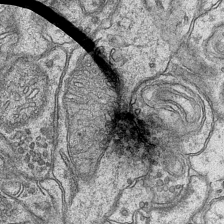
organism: Mouse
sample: CA1 Hippocampus